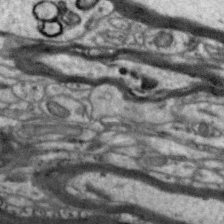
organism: Zebra finch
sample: Brain